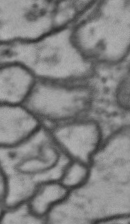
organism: Drosophila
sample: Brain